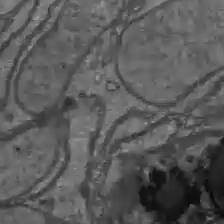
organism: C57BL Mouse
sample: Liver